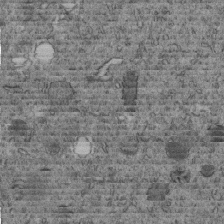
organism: C. elegans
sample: C. elegans embryo early stage